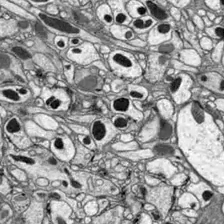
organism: Drosophila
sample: Optic lobe